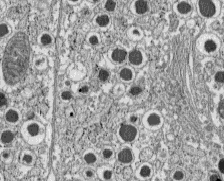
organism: C57BL Mouse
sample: Pancreatic islet